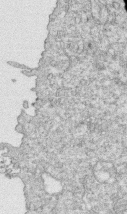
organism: Human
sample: HeLa cell HIV synapse